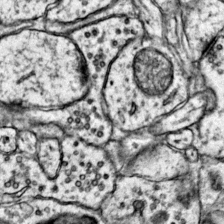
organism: Mouse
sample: Primary visual cortex